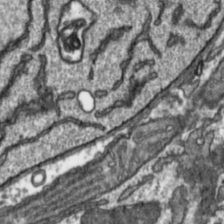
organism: Toxoplasma gondii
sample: Parasites in a vacuole inside a host cell